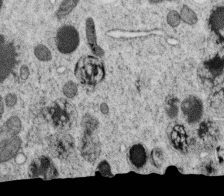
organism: C. elegans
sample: C. elegans oocyte; sperm cells